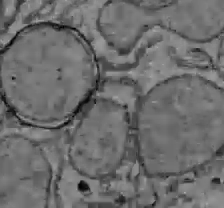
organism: C57BL Mouse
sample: Liver